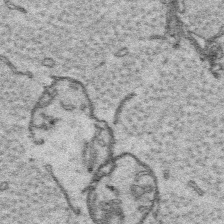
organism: Platynereis dumerilii